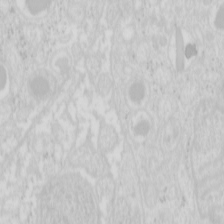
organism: Mouse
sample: Pancreas